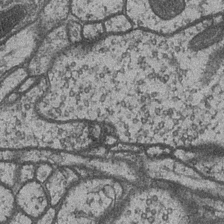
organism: Drosophila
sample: Optic medulla